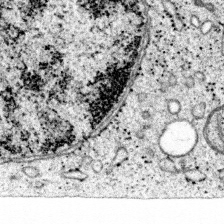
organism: Human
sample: HeLa cells